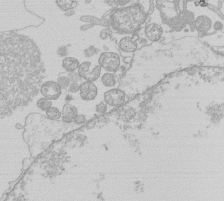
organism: Human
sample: Macrophage cells